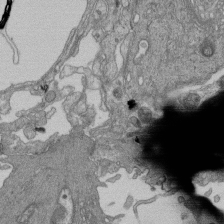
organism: Human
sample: Retinal organoid Rod and Cone cells